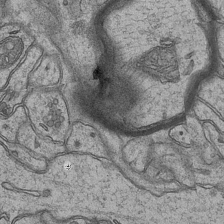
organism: Mouse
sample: CA1 Hippocampus